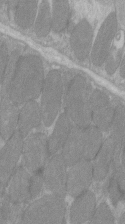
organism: C57BL Mouse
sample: Tibialis anterior muscle cell